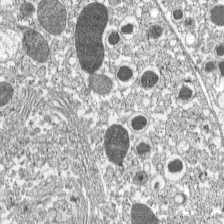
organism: C57BL Mouse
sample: Pancreatic islet